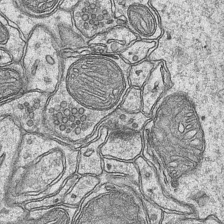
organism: Mouse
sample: CA1 Hippocampus